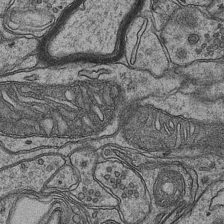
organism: Mouse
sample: CA1 Hippocampus